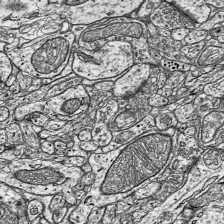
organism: Mouse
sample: Visual Cortex